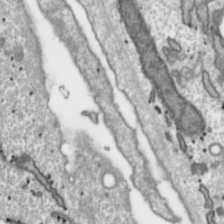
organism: Toxoplasma gondii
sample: Parasites in a vacuole inside a host cell